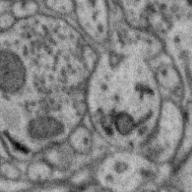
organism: Zebra finch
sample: Brain